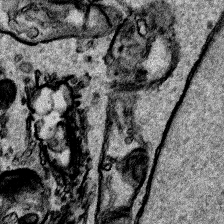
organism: Human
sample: Mitochondria in HCT116 cells